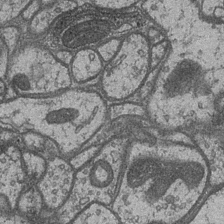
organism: Drosophila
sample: Optic medulla